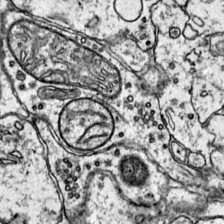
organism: Mouse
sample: Primary visual cortex